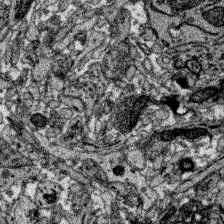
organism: Zebrafish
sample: Larval olfactory bulb